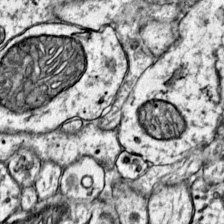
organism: Mouse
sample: Primary visual cortex